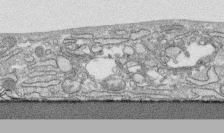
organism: Human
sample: CRL-1474